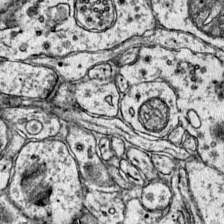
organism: Mouse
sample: Primary visual cortex